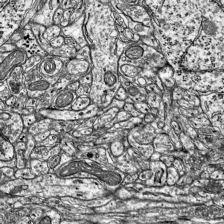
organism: Mouse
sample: Visual Cortex